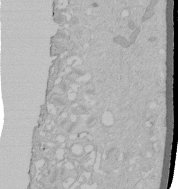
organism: Human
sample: Melanocyte Keratinocyte synapse skin construct